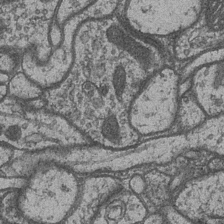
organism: Drosophila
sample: Optic medulla